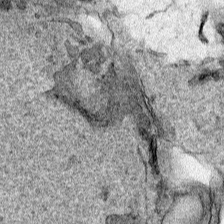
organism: Human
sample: Mitochondria in HCT116 cells